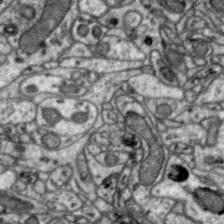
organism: Zebra finch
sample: Brain